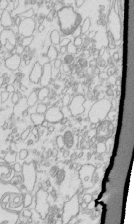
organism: Mouse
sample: Macrophages